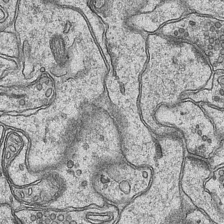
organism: Mouse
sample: CA1 Hippocampus